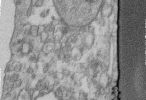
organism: Human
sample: Centriole in fibroblast cells